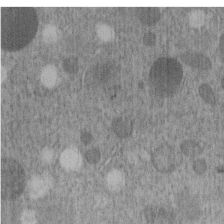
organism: C. elegans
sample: C. elegans embryo early stage